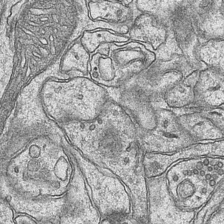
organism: Mouse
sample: CA1 Hippocampus